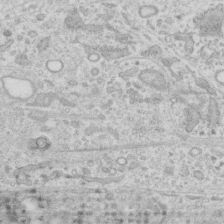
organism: Human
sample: Fibroblast cells